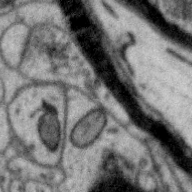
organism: Zebra finch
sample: Brain